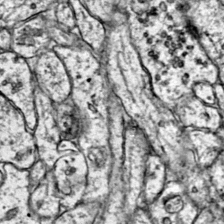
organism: Mouse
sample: Primary visual cortex